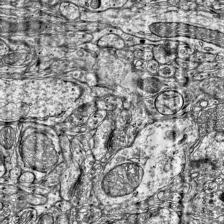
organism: Mouse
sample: Visual Cortex